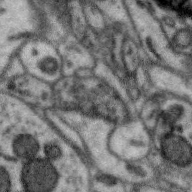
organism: Zebra finch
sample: Brain